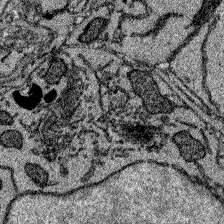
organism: Zebrafish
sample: Larval olfactory bulb